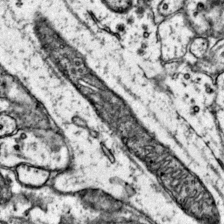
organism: Mouse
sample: Primary visual cortex